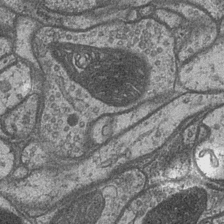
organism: Drosophila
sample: Optic medulla